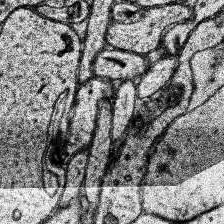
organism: Human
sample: Temporal Lobe